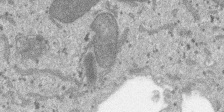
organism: Human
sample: Lung epithelial cells infected with SARS-CoV-2